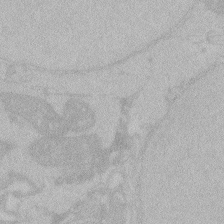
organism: Zebrafish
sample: Macrophage infected with Toxoplasma gondii